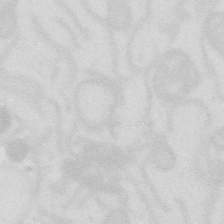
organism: Human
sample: HeLa cells